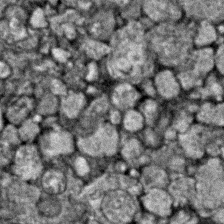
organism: Zebrafish